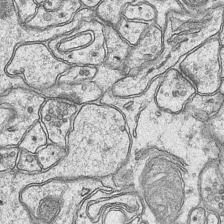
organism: Mouse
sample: CA1 Hippocampus